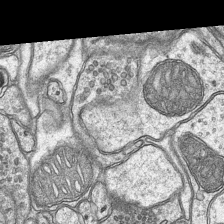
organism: Mouse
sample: CA1 Hippocampus